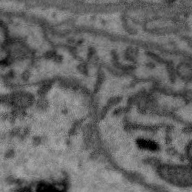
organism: Zebra finch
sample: Brain